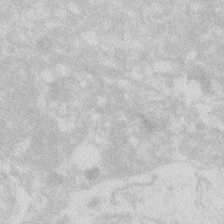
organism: Zebrafish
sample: Macrophage